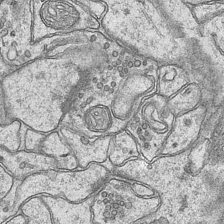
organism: Mouse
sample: CA1 Hippocampus